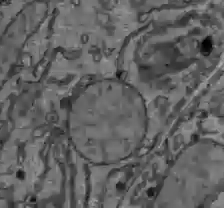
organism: C57BL Mouse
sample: Liver